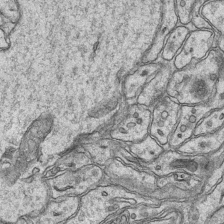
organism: Mouse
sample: CA1 Hippocampus